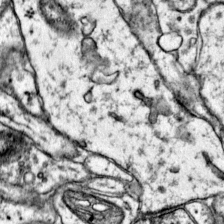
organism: Mouse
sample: Primary visual cortex